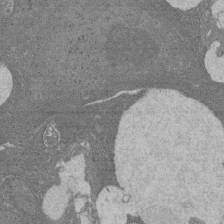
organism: Rat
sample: Salivary granule